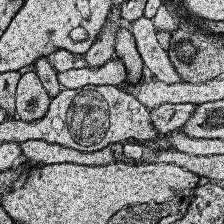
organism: Human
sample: Temporal Lobe